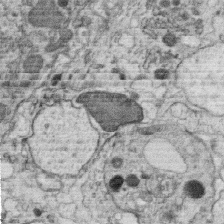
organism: C. elegans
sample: C. elegans oocyte; sperm cells